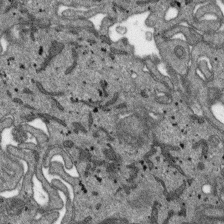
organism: Human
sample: Lung epithelial cells, uninfected (mock) control